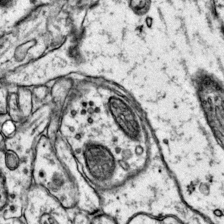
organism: Mouse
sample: Primary visual cortex